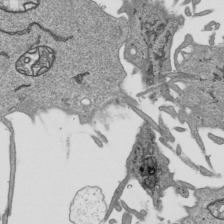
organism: Human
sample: Mitochondria in HCT116 cells